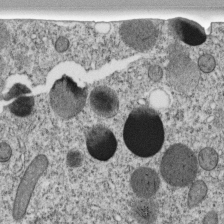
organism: C. elegans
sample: C. elegans embryo early stage